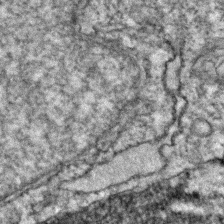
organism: Zebrafish